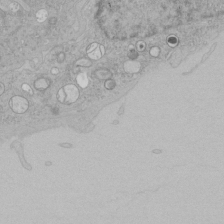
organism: Human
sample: Mitochondria in HCT116 cells